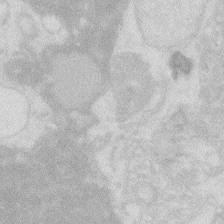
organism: Zebrafish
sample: Macrophage